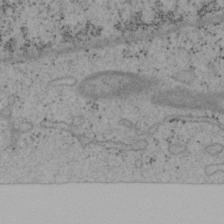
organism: Human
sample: HeLa cells